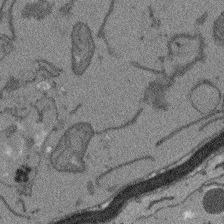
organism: Arabidopsis thaliana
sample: Root tip